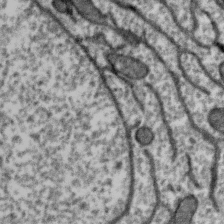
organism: Zebra finch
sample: Brain